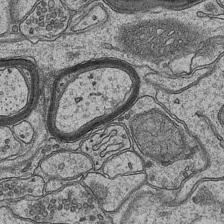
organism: Mouse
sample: CA1 Hippocampus